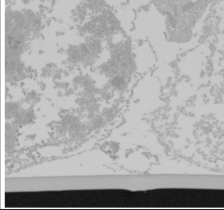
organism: Mouse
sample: Cancer cell death in ED-1 cells